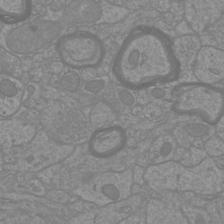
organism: Mouse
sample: Cortical neurons